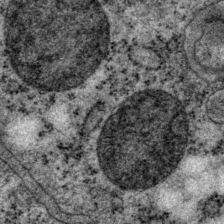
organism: P. pacificus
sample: Pharynx